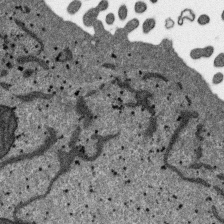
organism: Human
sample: Lung epithelial cells, uninfected (mock) control